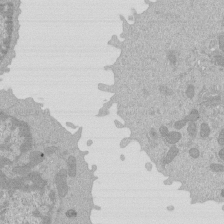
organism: Mouse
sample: Activated Pmel transgenic CD8+ T Cells